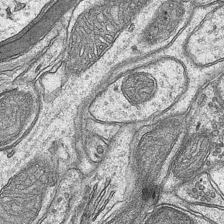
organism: Mouse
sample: CA1 Hippocampus